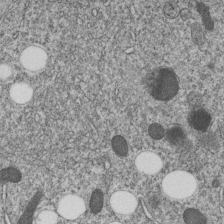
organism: C. elegans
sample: C. elegans embryo early stage